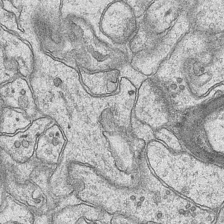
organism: Mouse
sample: CA1 Hippocampus